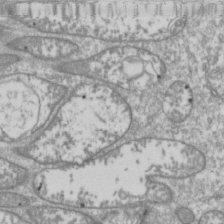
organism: Drosophila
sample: Cell division; meiosis; drosophila spermatocytes